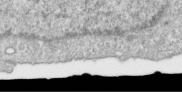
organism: Human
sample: Centriole in RPE cells